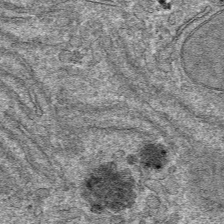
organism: Mouse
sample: Mouse hepatocytes